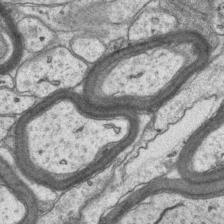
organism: Mouse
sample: CA1 Hippocampus